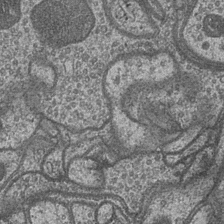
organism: Drosophila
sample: Optic medulla